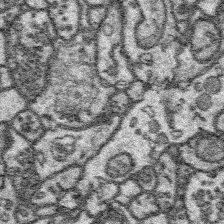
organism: Platynereis dumerilii